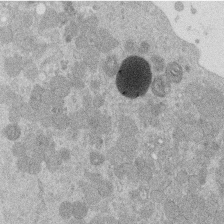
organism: Mouse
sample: Dividing mouse embryo 1 cell stage